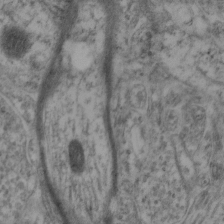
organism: Mouse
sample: Neocortex